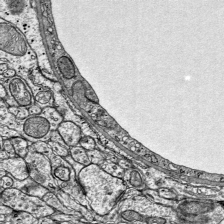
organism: Mouse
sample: Visual Cortex